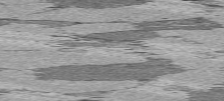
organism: C57BL Mouse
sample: Heart